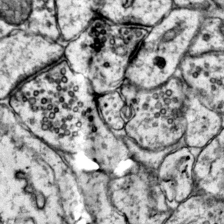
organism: Mouse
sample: Primary visual cortex